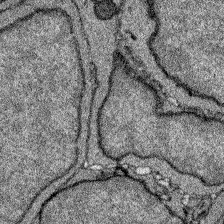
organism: Zebrafish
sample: Larval olfactory bulb